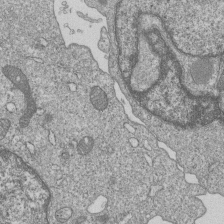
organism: Human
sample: MDA-MB-231 cells